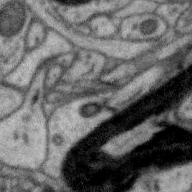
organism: Zebra finch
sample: Brain